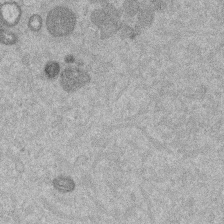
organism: Mouse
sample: Dividing mouse embryo 1 cell stage